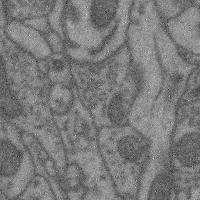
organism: Mouse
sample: Cerebral cortex